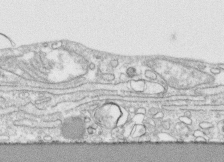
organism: Human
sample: CRL-1474